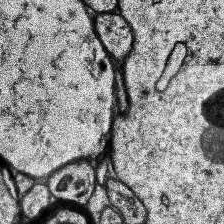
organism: Human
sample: Temporal Lobe